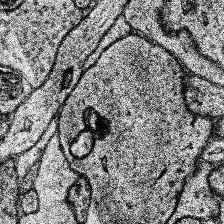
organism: Human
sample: Temporal Lobe